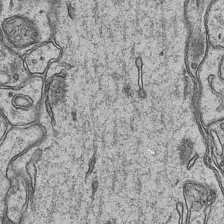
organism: Mouse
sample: CA1 Hippocampus